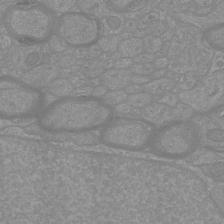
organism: Mouse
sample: Cortical neurons